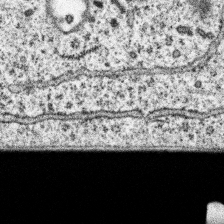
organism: Human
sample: HeLa cells